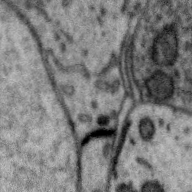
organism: Zebra finch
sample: Brain